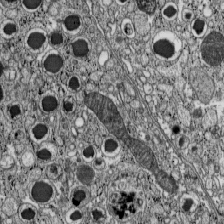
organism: C57BL Mouse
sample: Pancreatic islet